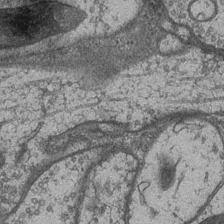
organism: Drosophila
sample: Optic medulla